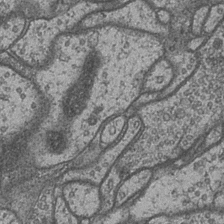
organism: Drosophila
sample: Optic medulla